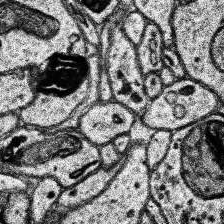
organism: Human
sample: Temporal Lobe